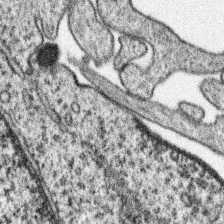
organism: Human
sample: HeLa cells